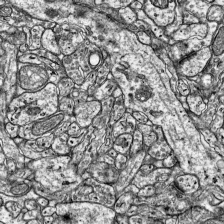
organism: Mouse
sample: Visual Cortex